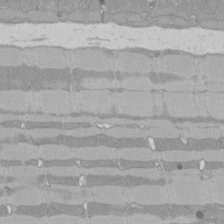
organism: Rat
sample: Left ventricle